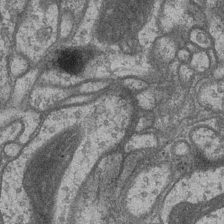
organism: Drosophila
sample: Optic medulla